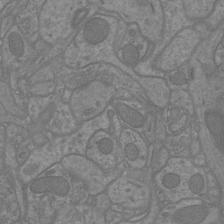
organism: Mouse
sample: Cortical neurons